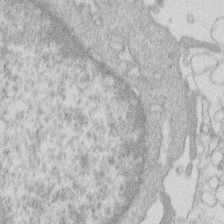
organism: Human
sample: Macrophage cells